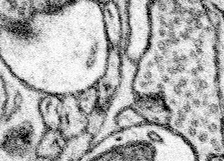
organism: Mouse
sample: Somatosensory cortex neuropil